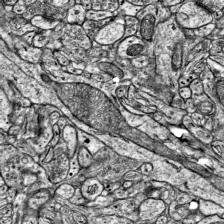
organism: Mouse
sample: Visual Cortex